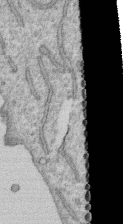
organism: Human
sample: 1205lu cells